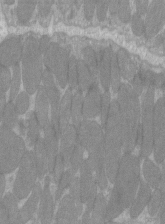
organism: C57BL Mouse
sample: Tibialis anterior muscle cell